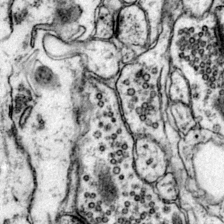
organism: Mouse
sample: Primary visual cortex